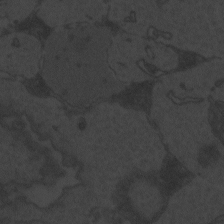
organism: Zebrafish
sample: Macrophage infected with Toxoplasma gondii